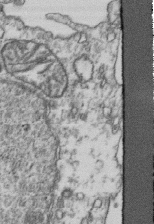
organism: Human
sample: Activated Jurkat CD4+ T cells